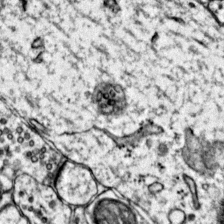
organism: Mouse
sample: Primary visual cortex